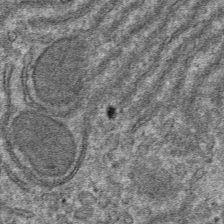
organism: Mouse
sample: Mouse hepatocytes